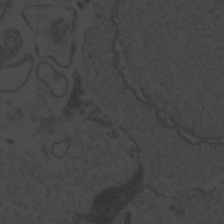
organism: Zebrafish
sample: Macrophage infected with Toxoplasma gondii